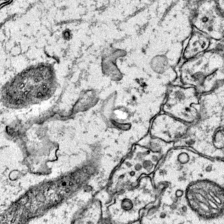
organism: Mouse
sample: Primary visual cortex